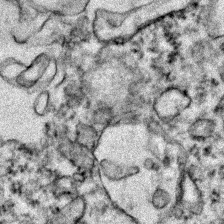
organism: Zebrafish